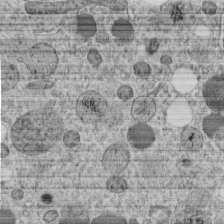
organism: C. elegans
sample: C. elegans embryo early stage